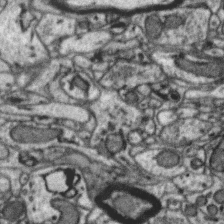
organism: Zebra finch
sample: Brain